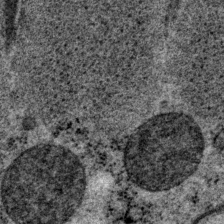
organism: P. pacificus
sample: Pharynx